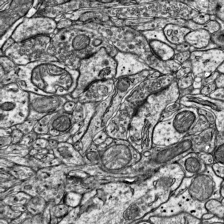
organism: Mouse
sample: Visual Cortex